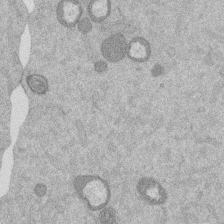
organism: Mouse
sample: Dividing mouse embryo 1 cell stage